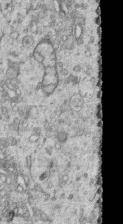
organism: Human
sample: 1205lu cells